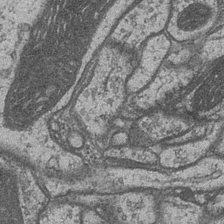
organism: Drosophila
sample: Optic medulla